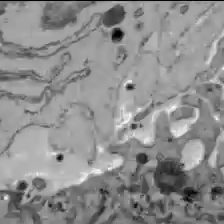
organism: C57BL Mouse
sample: Liver